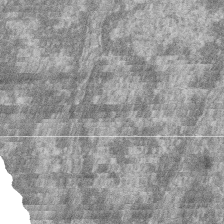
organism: Zebrafish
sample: Cilia; retinal pigment epithelium